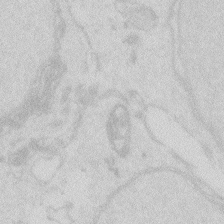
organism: Zebrafish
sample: Macrophage